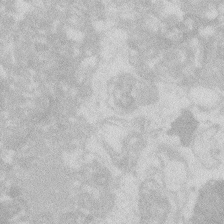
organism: Zebrafish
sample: Macrophage